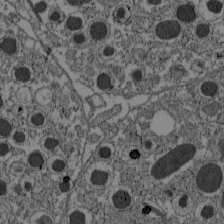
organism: C57BL Mouse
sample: Pancreatic islet